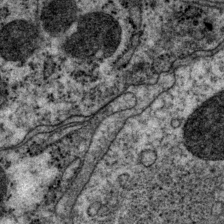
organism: P. pacificus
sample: Pharynx